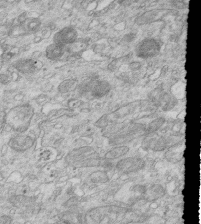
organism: Mouse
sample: Multiciliated cells